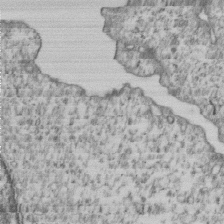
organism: Human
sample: MDA-MB-231 cells